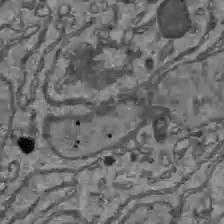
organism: C57BL Mouse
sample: Liver